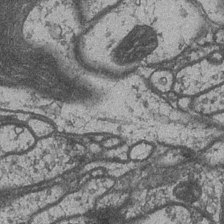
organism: Drosophila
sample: Optic medulla